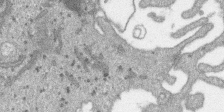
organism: Human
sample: Lung epithelial cells infected with SARS-CoV-2